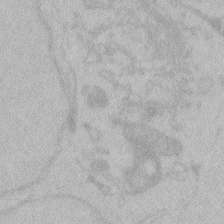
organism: Zebrafish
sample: Macrophage infected with Toxoplasma gondii